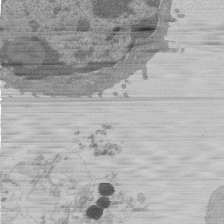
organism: Mouse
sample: Activated Pmel transgenic CD8+ T Cells